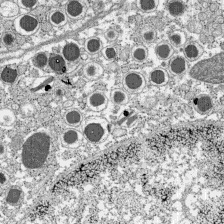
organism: C57BL Mouse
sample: Pancreatic islet